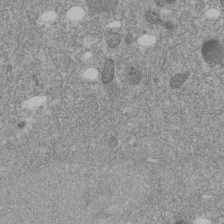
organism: C. elegans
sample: C. elegans embryo early stage